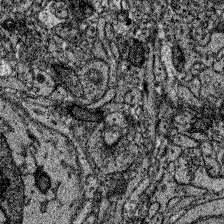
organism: Zebrafish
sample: Larval olfactory bulb